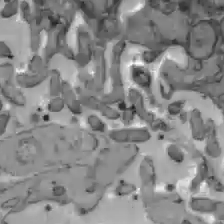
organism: C57BL Mouse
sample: Liver